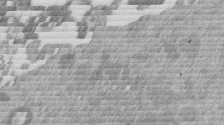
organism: Mouse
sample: Dividing mouse embryo 1 cell stage